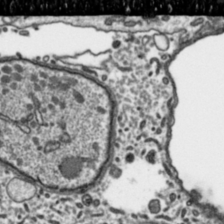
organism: Toxoplasma gondii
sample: Parasites in a vacuole inside a host cell